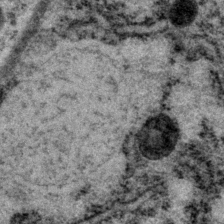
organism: P. pacificus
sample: Pharynx